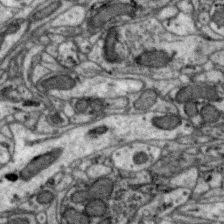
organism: Zebra finch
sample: Brain